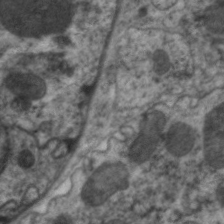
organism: C. elegans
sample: Pharynx